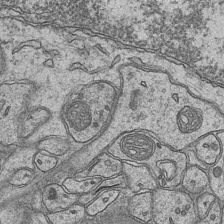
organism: Mouse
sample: CA1 Hippocampus